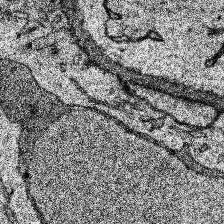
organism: Human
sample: Temporal Lobe